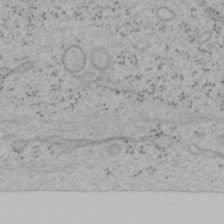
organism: Human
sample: HeLa cells